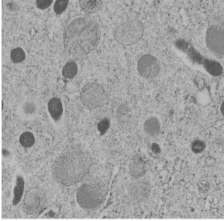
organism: C. elegans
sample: C. elegans embryo early stage